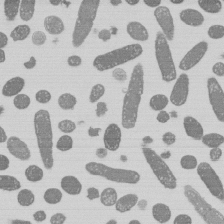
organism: E. coli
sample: Bacterial nucleoid